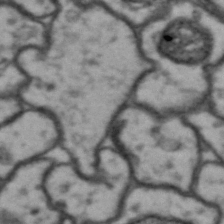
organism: Drosophila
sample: Brain